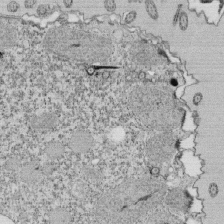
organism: Tetrahymena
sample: Cilia in tetrahymena